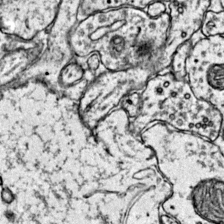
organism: Mouse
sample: Primary visual cortex